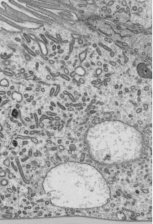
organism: Mouse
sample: Mouse epididymis efferent ductule cilia